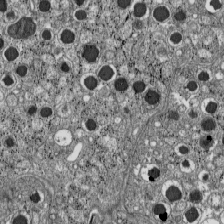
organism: C57BL Mouse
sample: Pancreatic islet